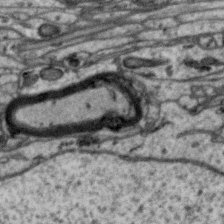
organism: Zebra finch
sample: Brain